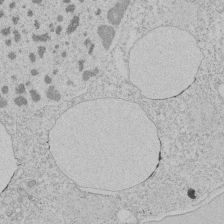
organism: Tetrahymena